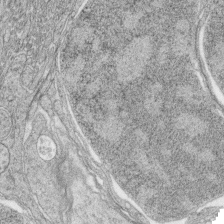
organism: Zebrafish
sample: synaptic ribbons in rod cells and cone cells